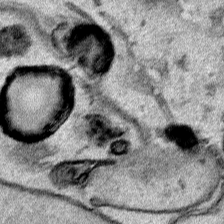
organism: Human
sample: Mitochondria in HCT116 cells